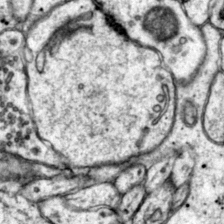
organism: Mouse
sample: Primary visual cortex